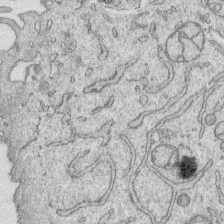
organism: Human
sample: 1205lu cells